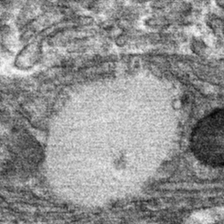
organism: Mouse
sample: Mouse hepatocytes